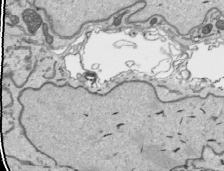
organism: Human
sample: Mitochondria in HCT116 cells